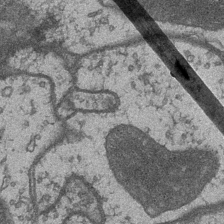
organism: Drosophila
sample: Optic medulla